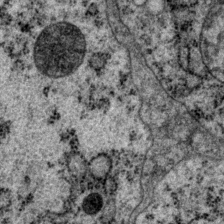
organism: P. pacificus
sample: Pharynx